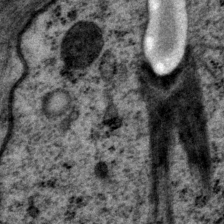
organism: P. pacificus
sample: Pharynx